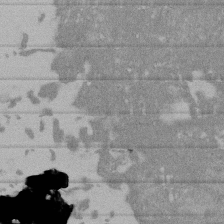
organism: Mouse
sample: ED-1 cell nuclei; centrioles